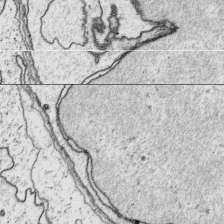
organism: Platynereis dumerilii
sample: Parapodia